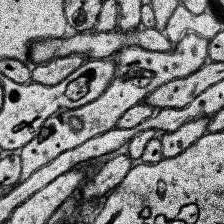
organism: Human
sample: Temporal Lobe